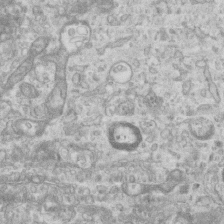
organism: Mouse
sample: Centriole in ependymal cells